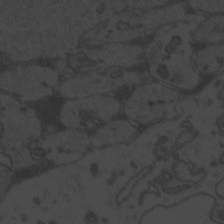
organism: Zebrafish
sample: Macrophage infected with Toxoplasma gondii